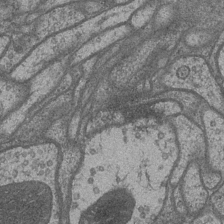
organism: Drosophila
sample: Optic medulla